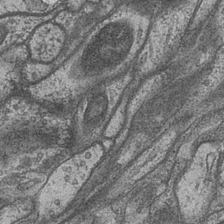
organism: Drosophila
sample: Optic medulla